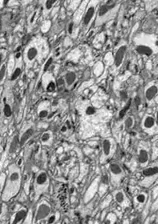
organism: Drosophila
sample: Optic lobe